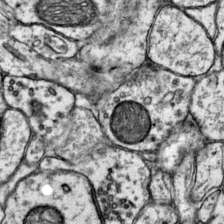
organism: Mouse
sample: Primary visual cortex